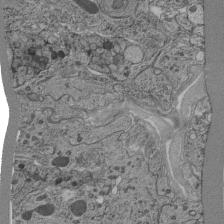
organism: C. elegans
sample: C. elegans pharynx